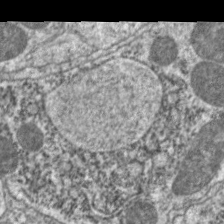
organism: C. elegans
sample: Pharynx